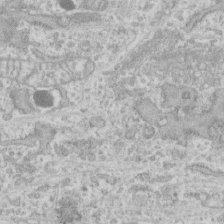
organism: Human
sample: CRL-1474